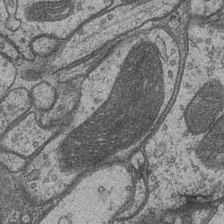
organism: Drosophila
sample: Optic medulla